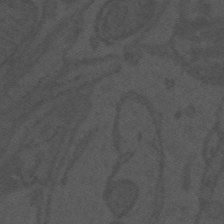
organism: Mouse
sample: Suprachiasmatic nucleus